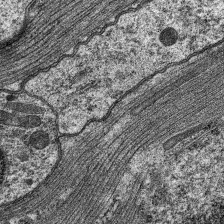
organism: C. elegans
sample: Pharynx